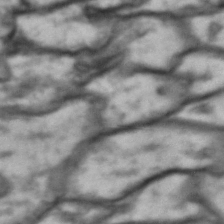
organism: Drosophila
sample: Brain